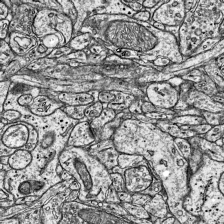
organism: Mouse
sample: Visual Cortex